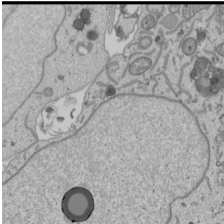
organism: Human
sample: Mitochondria in U2OS cells